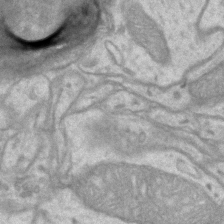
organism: Mouse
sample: CA1 Hippocampus